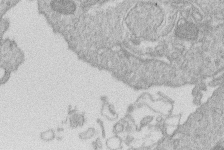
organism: Human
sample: Macrophage cells